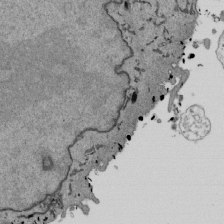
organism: Mouse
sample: ED-1 cell nuclei; centrioles